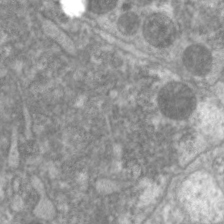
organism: C. elegans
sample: Pharynx